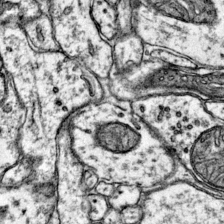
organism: Mouse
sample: Primary visual cortex